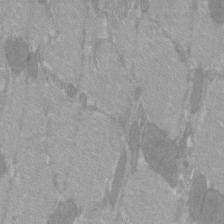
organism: C57BL Mouse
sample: Tibialis anterior muscle cell